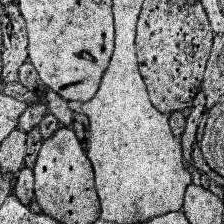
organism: Human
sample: Temporal Lobe